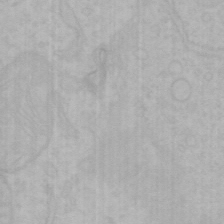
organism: Mouse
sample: Choroid plexus